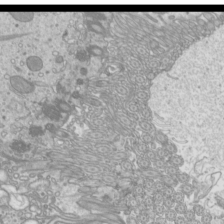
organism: Mouse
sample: Cilia; mouse epididymis